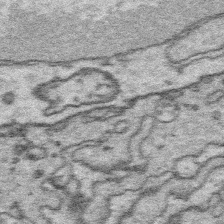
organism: Platynereis dumerilii